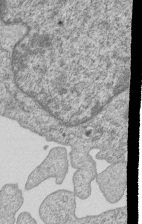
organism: Human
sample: MDA-MB-231 cells